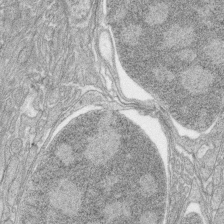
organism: Zebrafish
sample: synaptic ribbons in rod cells and cone cells